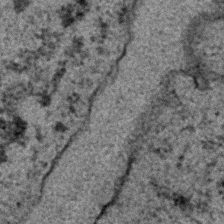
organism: C. elegans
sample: C. elegans embryo